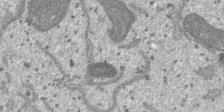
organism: Human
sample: Lung epithelial cells infected with SARS-CoV-2